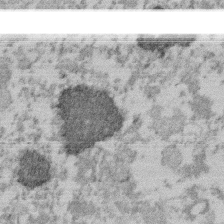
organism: Mouse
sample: Dividing mouse embryo 1 cell stage